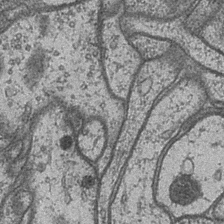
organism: Drosophila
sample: Optic medulla